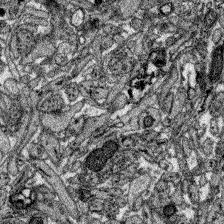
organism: Zebrafish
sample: Larval olfactory bulb